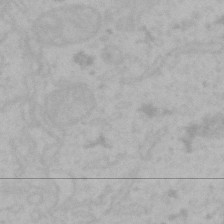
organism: Mouse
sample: Choroid plexus